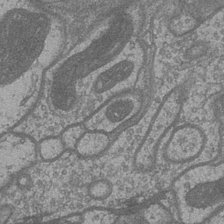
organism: Drosophila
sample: Optic medulla